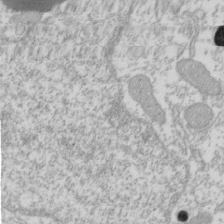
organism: Xenopus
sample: Cilia; centrioles in frog embryo cells